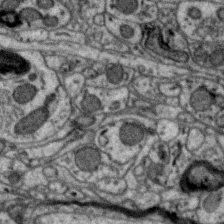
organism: Zebra finch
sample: Brain